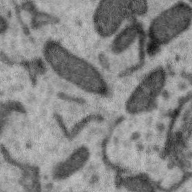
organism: Zebra finch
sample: Brain